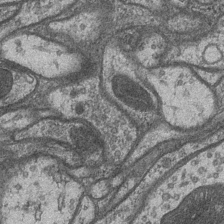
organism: Drosophila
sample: Optic medulla